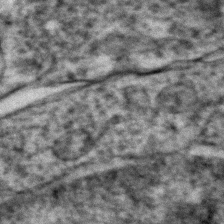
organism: Zebrafish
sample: Zebrafish embryo